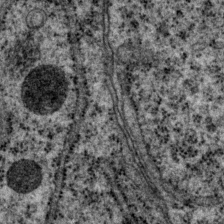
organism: P. pacificus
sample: Pharynx